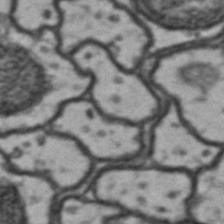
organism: Drosophila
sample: Brain